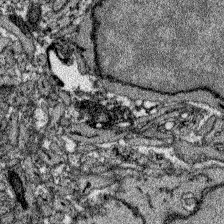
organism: Zebrafish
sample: Larval olfactory bulb